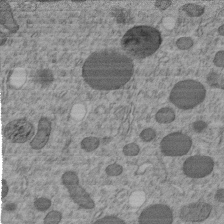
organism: C. elegans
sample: C. elegans embryo early stage